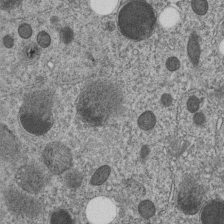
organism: C. elegans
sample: C. elegans embryo early stage